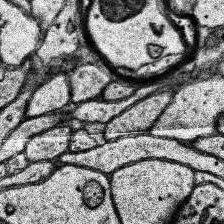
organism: Human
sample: Temporal Lobe